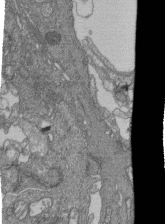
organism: Human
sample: Retinal organoid Rod and Cone cells